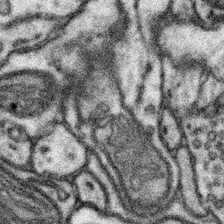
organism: Mouse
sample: Somatosensory cortex neuropil